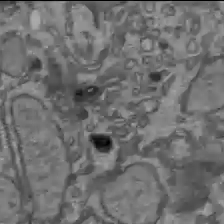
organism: C57BL Mouse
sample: Liver